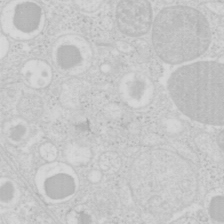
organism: Mouse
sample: Pancreas